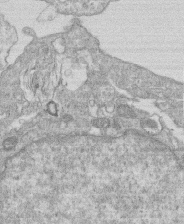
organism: Human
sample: Macrophage cells